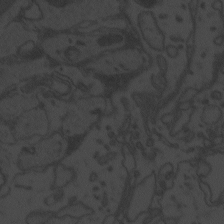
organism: Zebrafish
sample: Macrophage infected with Toxoplasma gondii